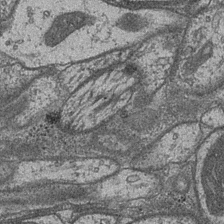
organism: Drosophila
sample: Optic medulla